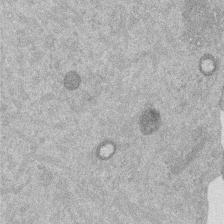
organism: Mouse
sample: Dividing mouse embryo 1 cell stage